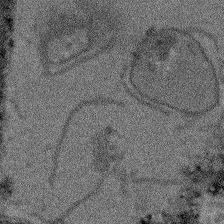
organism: Arabidopsis thaliana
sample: Root tip